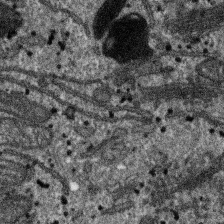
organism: Human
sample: Lung epithelial cells infected with SARS-CoV-2